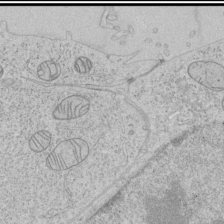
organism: Human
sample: Mitochondria in HCT116 cells